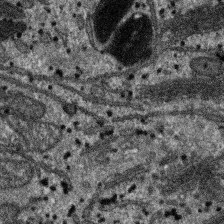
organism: Human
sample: Lung epithelial cells infected with SARS-CoV-2